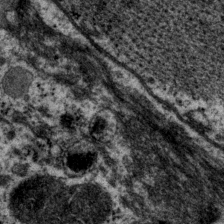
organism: P. pacificus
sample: Pharynx